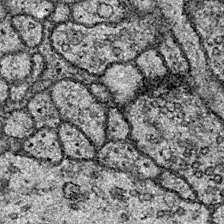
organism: Drosophila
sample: Ventral Nerve Cord